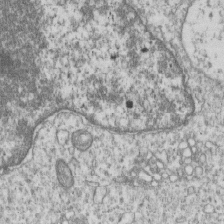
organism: Human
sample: MDA-MB-231 cells